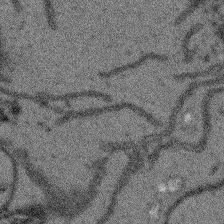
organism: Arabidopsis thaliana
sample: Root tip